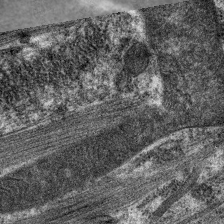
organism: C. elegans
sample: Pharynx